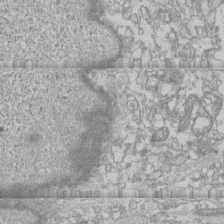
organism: Human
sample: CRL-1474